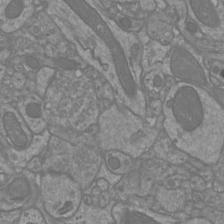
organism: Mouse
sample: Cortical neurons